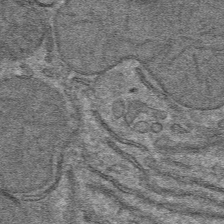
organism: Mouse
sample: Mouse hepatocytes